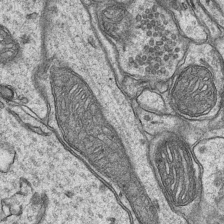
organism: Mouse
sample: CA1 Hippocampus